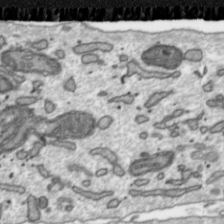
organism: Toxoplasma gondii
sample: Parasites in a vacuole inside a host cell